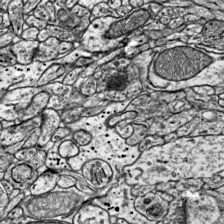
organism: Mouse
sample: Visual Cortex